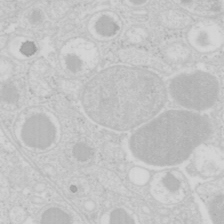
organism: Mouse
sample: Pancreas